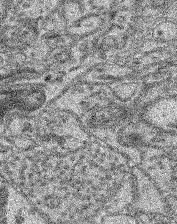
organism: Mouse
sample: Retina